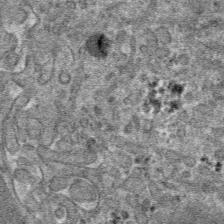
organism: Mouse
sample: Mouse hepatocytes